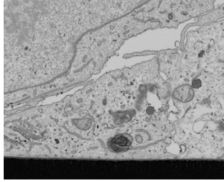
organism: Human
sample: Mitochondria in U2OS cells